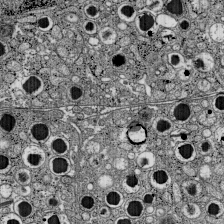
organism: C57BL Mouse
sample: Pancreatic islet